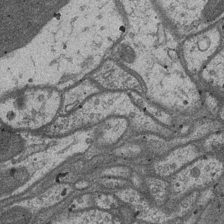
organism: Drosophila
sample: Optic medulla